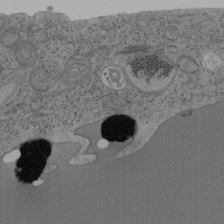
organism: Human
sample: HeLa cells